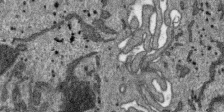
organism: Human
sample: Lung epithelial cells, uninfected (mock) control